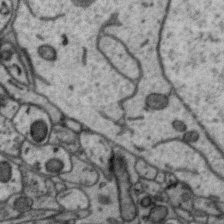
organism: Zebra finch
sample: Brain